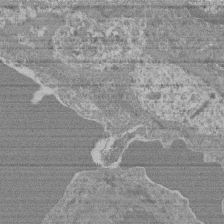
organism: Mouse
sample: Glomerulus